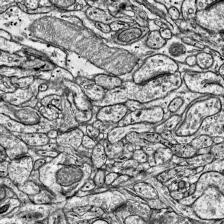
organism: Mouse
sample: Visual Cortex